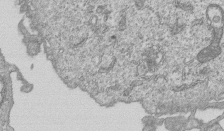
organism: Human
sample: MDA-MB-231 cells